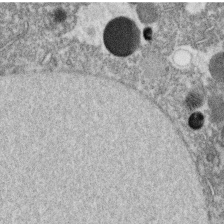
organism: C. elegans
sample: C. elegans oocyte; sperm cells